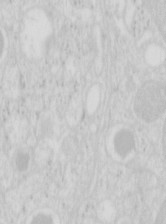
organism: Mouse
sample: Pancreas